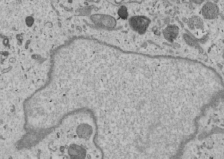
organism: Human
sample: Mitochondria in U2OS cells